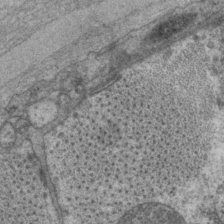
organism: P. pacificus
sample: Pharynx